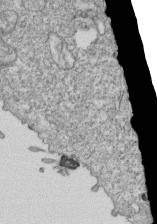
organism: Human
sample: HeLa cell HIV synapse